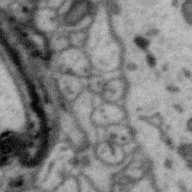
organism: Zebra finch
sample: Brain